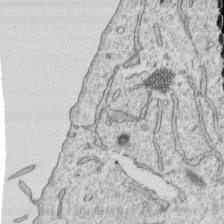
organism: Human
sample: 1205lu cells